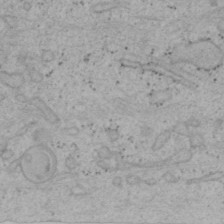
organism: Human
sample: HeLa cells